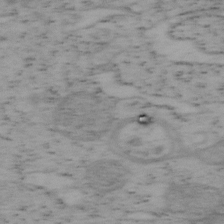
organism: Mouse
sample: OT-I killer T cells with ID8 ovarian cancer cells